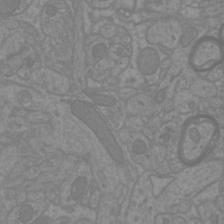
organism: Mouse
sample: Cortical neurons